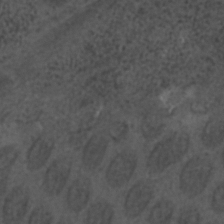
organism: C. elegans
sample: C. elegans embryo